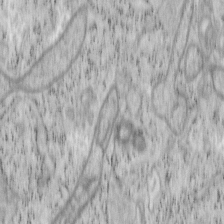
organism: Human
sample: HeLa cells